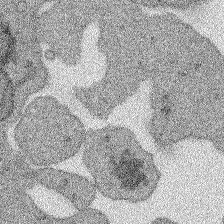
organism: Human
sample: HeLa cells